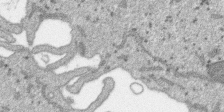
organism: Human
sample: Lung epithelial cells infected with SARS-CoV-2